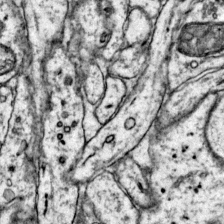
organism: Mouse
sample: Primary visual cortex